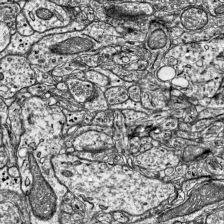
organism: Mouse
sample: Visual Cortex